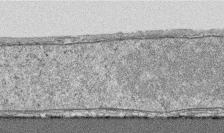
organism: Human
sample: CRL-1474